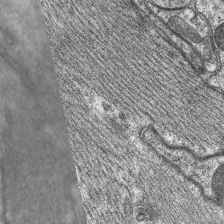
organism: C. elegans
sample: Pharynx